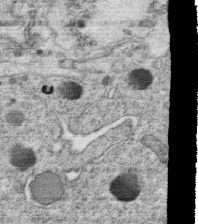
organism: C. elegans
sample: C. elegans oocyte; sperm cells